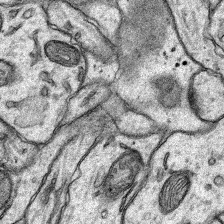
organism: Rat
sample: Hippocampus